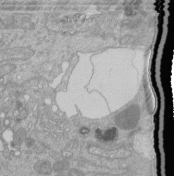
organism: Human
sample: Retinal organoid Rod and Cone cells